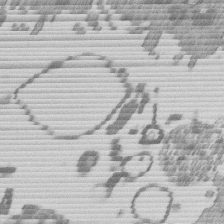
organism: Mouse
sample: Dividing mouse embryo 1 cell stage